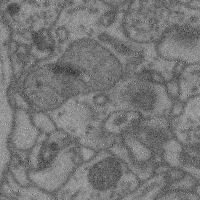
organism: Mouse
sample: Cerebral cortex